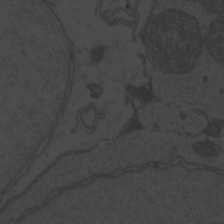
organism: Zebrafish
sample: Macrophage infected with Toxoplasma gondii